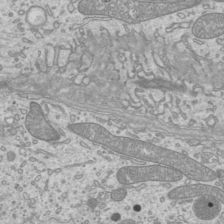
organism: Mouse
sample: Cilia; mouse epididymis